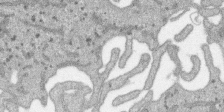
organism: Human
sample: Lung epithelial cells infected with SARS-CoV-2